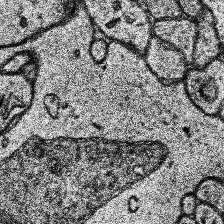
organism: Human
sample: Temporal Lobe